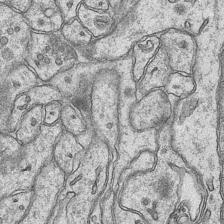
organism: Mouse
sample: CA1 Hippocampus